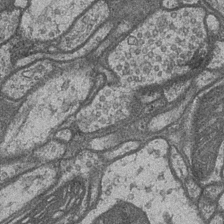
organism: Drosophila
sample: Optic medulla